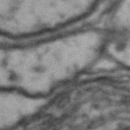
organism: Drosophila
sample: Brain